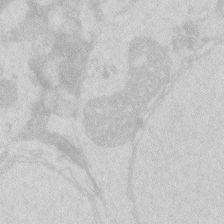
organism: Zebrafish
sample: Macrophage